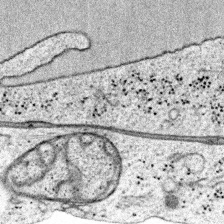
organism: Human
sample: HeLa cells